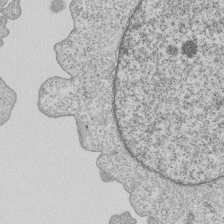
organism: Human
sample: MDA-MB-231 cells